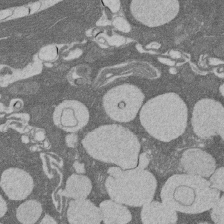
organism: Rat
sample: Salivary granule